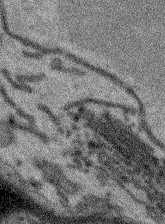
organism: Arabidopsis thaliana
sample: Root tip